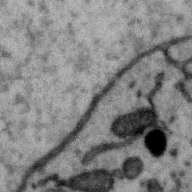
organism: Zebra finch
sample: Brain